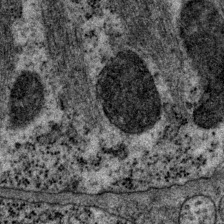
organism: P. pacificus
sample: Pharynx